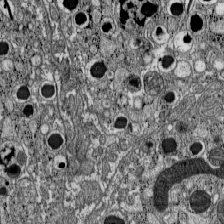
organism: C57BL Mouse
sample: Pancreatic islet